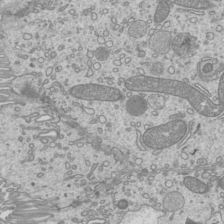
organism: Mouse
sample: Cilia; mouse epididymis